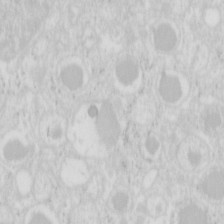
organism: Mouse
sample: Pancreas